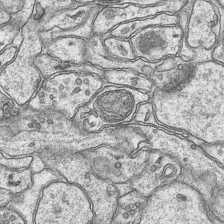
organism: Mouse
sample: CA1 Hippocampus